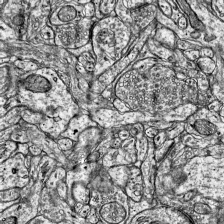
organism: Mouse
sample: Visual Cortex